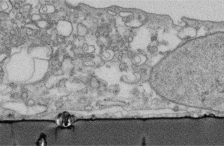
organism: Human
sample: Centriole in fibroblast cells